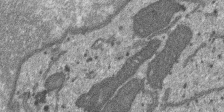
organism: Human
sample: Lung epithelial cells infected with SARS-CoV-2